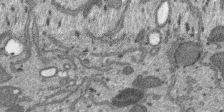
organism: Human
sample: Lung epithelial cells infected with SARS-CoV-2